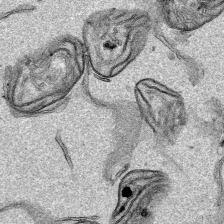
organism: Human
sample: Mitochondria in HCT116 cells